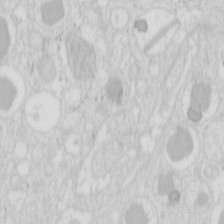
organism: Mouse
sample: Pancreas